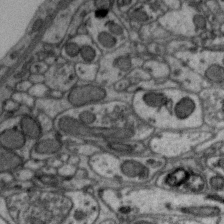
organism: Zebra finch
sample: Brain